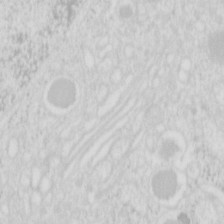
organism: Mouse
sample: Pancreas